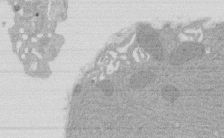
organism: Rat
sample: Salivary granule